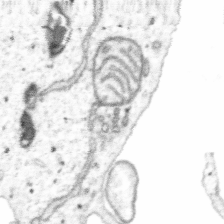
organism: Human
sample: HeLa cells